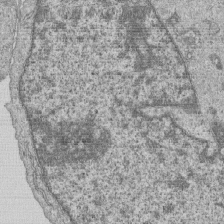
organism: Human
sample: MDA-MB-231 cells